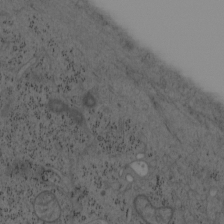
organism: Mouse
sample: OT-I killer T cells with ID8 ovarian cancer cells